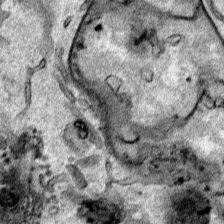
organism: Human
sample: Mitochondria in HCT116 cells